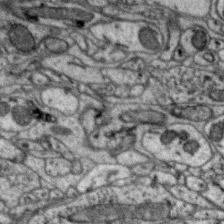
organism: Zebra finch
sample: Brain